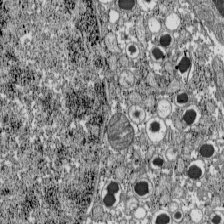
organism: C57BL Mouse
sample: Pancreatic islet